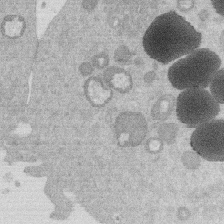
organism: Mouse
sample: Dividing mouse embryo 1 cell stage